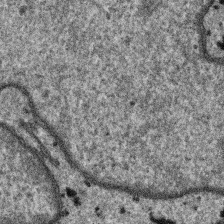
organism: Human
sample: Lung epithelial cells infected with SARS-CoV-2